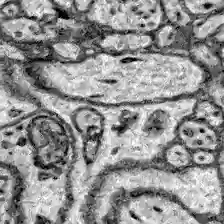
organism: Zebrafish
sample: Brain